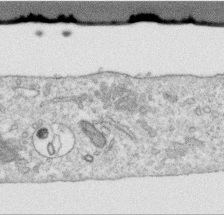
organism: Human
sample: Centriole in RPE cells